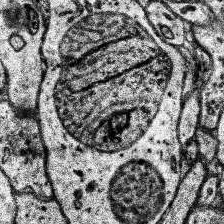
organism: Human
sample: Temporal Lobe